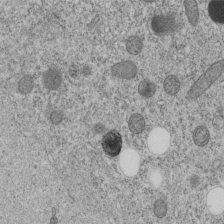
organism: C. elegans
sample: C. elegans embryo early stage